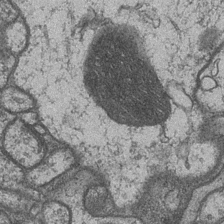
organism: Drosophila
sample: Optic medulla